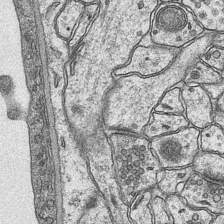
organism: Mouse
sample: CA1 Hippocampus